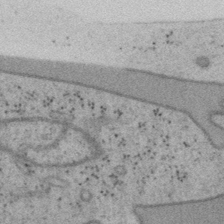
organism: Human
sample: HeLa cells